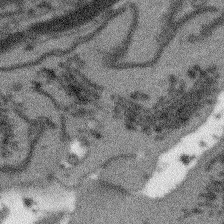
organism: Arabidopsis thaliana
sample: Root tip